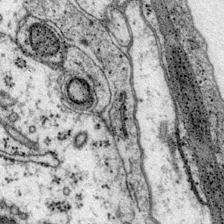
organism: Mouse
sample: Primary visual cortex